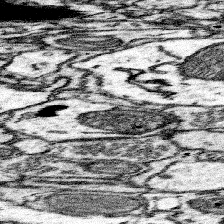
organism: Mouse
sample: Somatosensory cortex neuropil